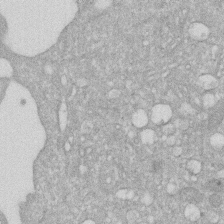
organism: Human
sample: HIV infected U937 cells